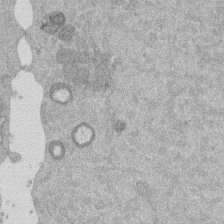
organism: Mouse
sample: Dividing mouse embryo 1 cell stage